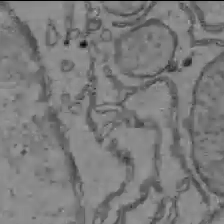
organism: C57BL Mouse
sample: Liver